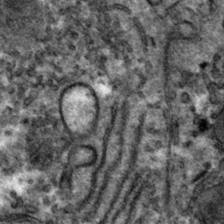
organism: Mouse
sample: Mouse hepatocytes